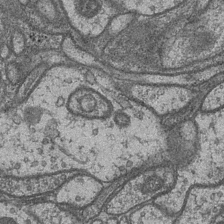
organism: Drosophila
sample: Optic medulla